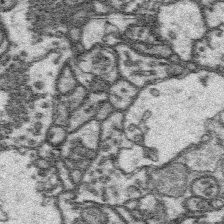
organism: Platynereis dumerilii